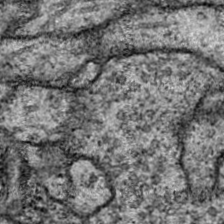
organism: Drosophila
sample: Ventral Nerve Cord